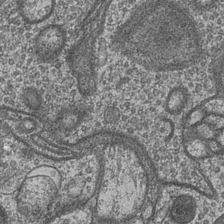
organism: Drosophila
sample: Optic medulla